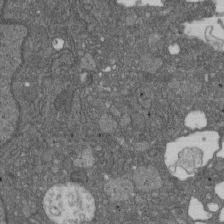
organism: Drosophila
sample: Nephrocyte